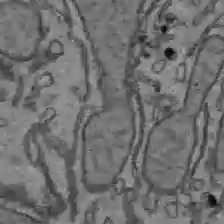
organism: C57BL Mouse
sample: Liver